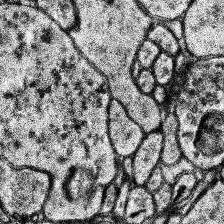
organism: Human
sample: Temporal Lobe